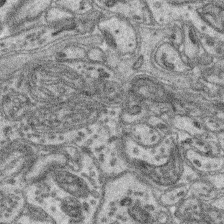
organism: Mouse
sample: Retina